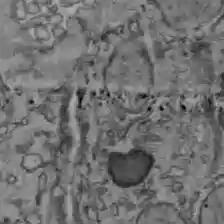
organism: C57BL Mouse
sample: Liver